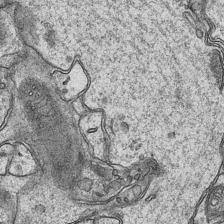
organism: Mouse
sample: CA1 Hippocampus